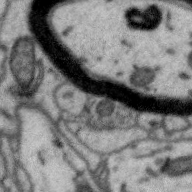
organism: Zebra finch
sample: Brain